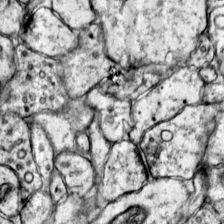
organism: Mouse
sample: Primary visual cortex